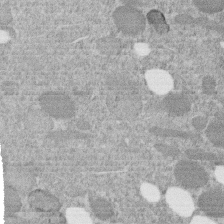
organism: C. elegans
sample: C. elegans embryo early stage